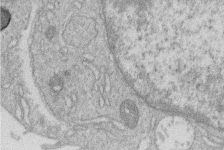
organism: Human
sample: Macrophage cells